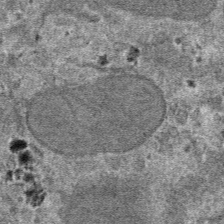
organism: Mouse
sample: Mouse hepatocytes